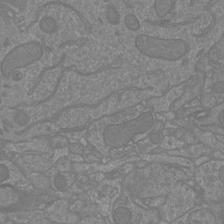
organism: Mouse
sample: Cortical neurons